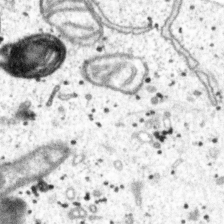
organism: Human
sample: HeLa cells